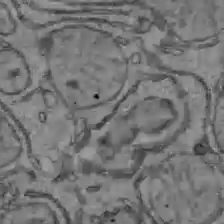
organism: C57BL Mouse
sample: Liver